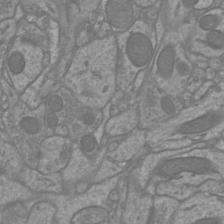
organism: Mouse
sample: Cortical neurons